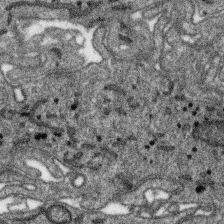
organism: Human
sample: Lung epithelial cells infected with SARS-CoV-2